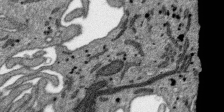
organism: Human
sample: Lung epithelial cells, uninfected (mock) control